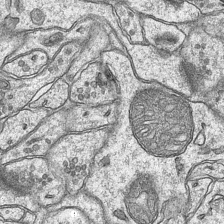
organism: Mouse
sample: CA1 Hippocampus